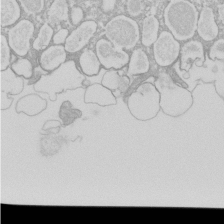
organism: Xenopus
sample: Cilia; centrioles in frog embryo cells